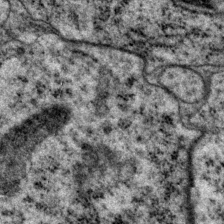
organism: P. pacificus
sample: Pharynx